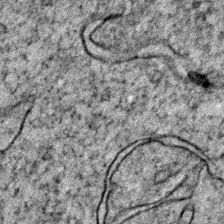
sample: Trachea